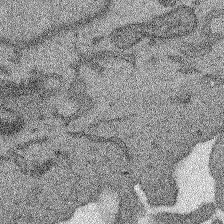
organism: Human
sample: HeLa cells